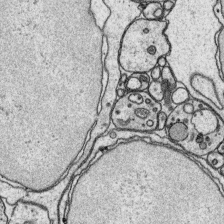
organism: Platynereis dumerilii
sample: Parapodia